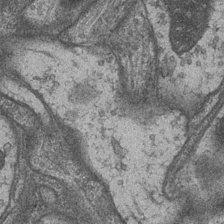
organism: Drosophila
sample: Optic medulla